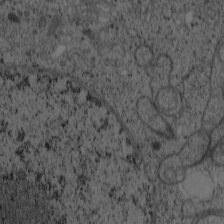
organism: African green monkey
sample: COS-7 cells